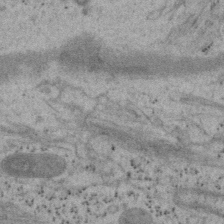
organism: Human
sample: HeLa cells